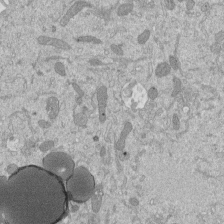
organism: Mouse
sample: ED-1 cell nuclei; centrioles